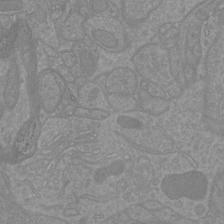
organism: Mouse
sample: Cortical neurons